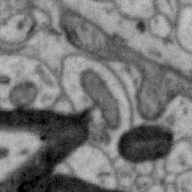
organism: Zebra finch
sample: Brain